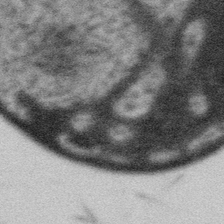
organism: Gemmata obscuriglobus